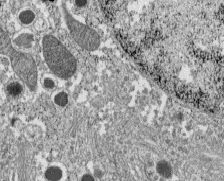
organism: C57BL Mouse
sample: Pancreatic islet